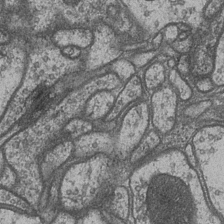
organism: Drosophila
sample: Optic medulla